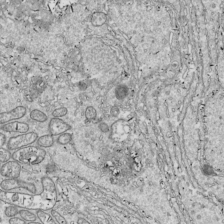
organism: Drosophila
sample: Cell division; meiosis; drosophila spermatocytes